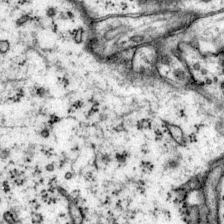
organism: Mouse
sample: Primary visual cortex